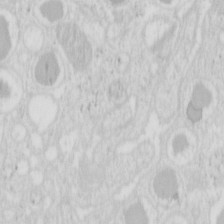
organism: Mouse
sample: Pancreas